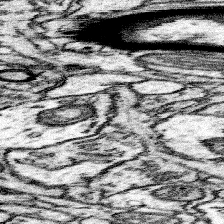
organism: Mouse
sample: Somatosensory cortex neuropil